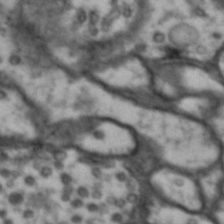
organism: Drosophila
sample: Brain